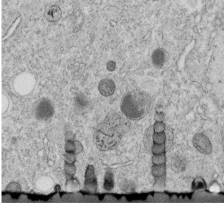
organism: C. elegans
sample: C. elegans embryo early stage